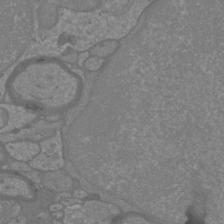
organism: Mouse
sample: Cortical neurons